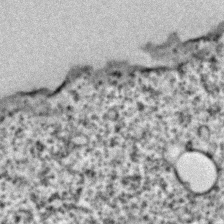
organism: C. elegans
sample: C. elegans embryo